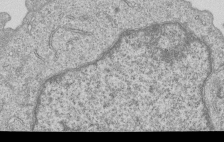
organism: Human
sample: MDA-MB-231 cells